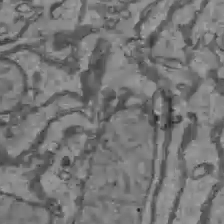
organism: C57BL Mouse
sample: Liver